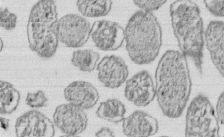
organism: E. coli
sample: Bacterial nucleoid